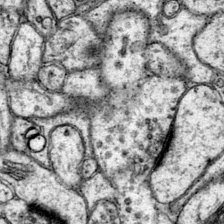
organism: Mouse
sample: Primary visual cortex